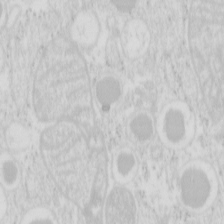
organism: Mouse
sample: Pancreas